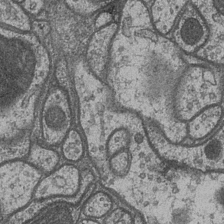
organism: Drosophila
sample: Optic medulla